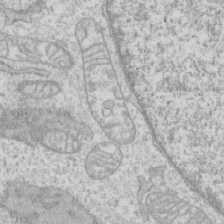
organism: Human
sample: CRL-1474